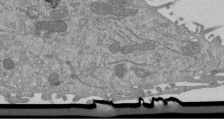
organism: Mouse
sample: ED-1 cell nuclei; centrioles